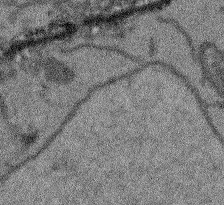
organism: Arabidopsis thaliana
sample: Root tip